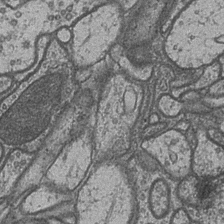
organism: Drosophila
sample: Optic medulla